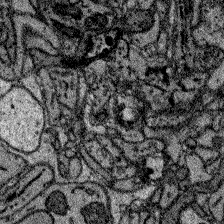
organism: Zebrafish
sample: Larval olfactory bulb